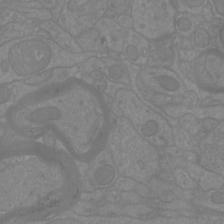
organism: Mouse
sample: Cortical neurons